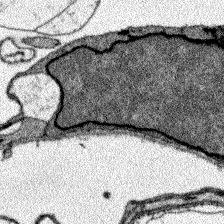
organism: Zebrafish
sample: Larval olfactory bulb